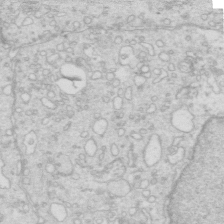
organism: Mouse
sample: Multiciliated cells